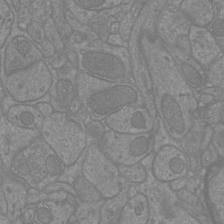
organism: Mouse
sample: Cortical neurons